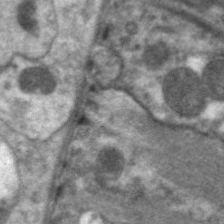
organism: C. elegans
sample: Pharynx